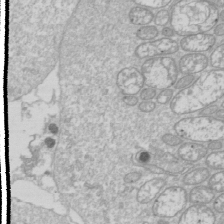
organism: Drosophila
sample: Cell division; meiosis; drosophila spermatocytes